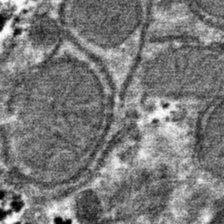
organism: Mouse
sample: Mouse hepatocytes